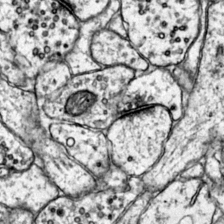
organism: Mouse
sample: Primary visual cortex